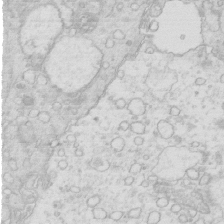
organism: Mouse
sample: Multiciliated cells